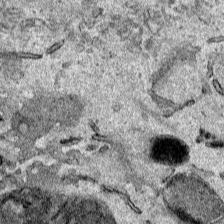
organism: Human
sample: Mitochondria in HCT116 cells